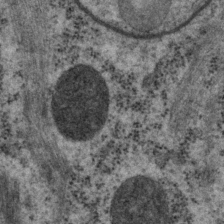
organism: P. pacificus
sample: Pharynx